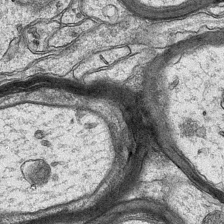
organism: Mouse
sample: CA1 Hippocampus